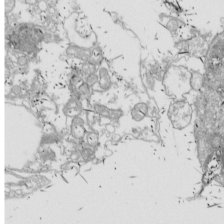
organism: Drosophila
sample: Cell division; meiosis; drosophila spermatocytes